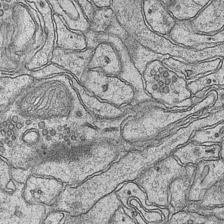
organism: Mouse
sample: CA1 Hippocampus